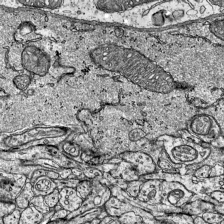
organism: Mouse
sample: Visual Cortex